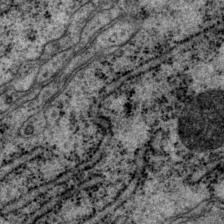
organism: P. pacificus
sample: Pharynx